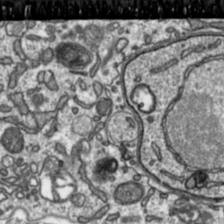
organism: Toxoplasma gondii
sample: Parasites in a vacuole inside a host cell